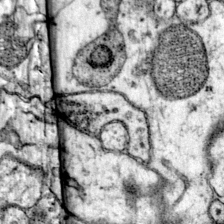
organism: Mouse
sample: Primary visual cortex